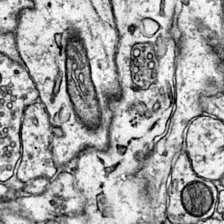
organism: Mouse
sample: Primary visual cortex